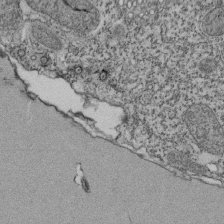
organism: Tetrahymena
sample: Cilia in tetrahymena